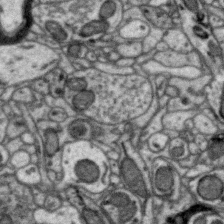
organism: Zebra finch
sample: Brain